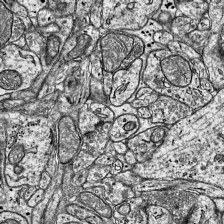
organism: Mouse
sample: Visual Cortex